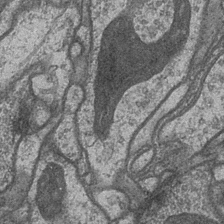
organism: Drosophila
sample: Optic medulla